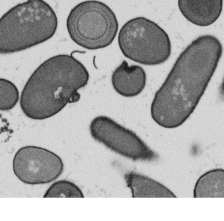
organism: B. subtilis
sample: Bacterial spore